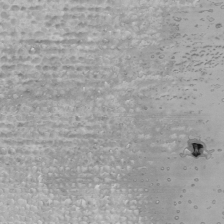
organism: Human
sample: Mitochondria in U2OS cells